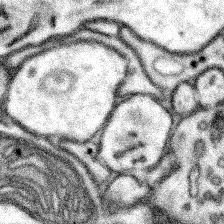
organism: Mouse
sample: Somatosensory cortex neuropil